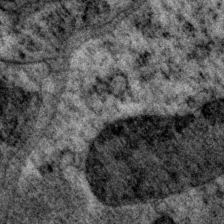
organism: P. pacificus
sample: Pharynx